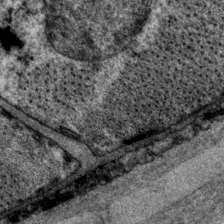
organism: P. pacificus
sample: Pharynx